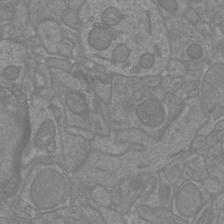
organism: Mouse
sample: Cortical neurons